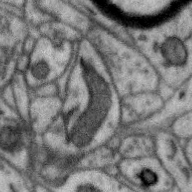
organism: Zebra finch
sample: Brain